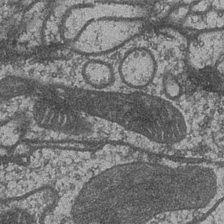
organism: Drosophila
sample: Optic medulla